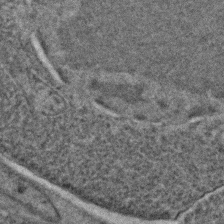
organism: C. elegans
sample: C. elegans embryo